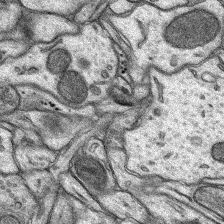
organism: Rat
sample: Hippocampus